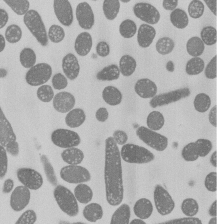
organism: E. coli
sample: Bacterial nucleoid